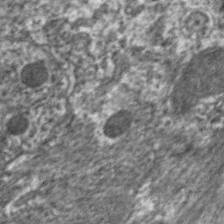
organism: C. elegans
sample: Pharynx